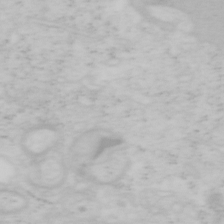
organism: Mouse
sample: OT-I killer T cells with ID8 ovarian cancer cells